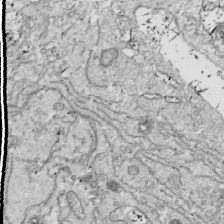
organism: Drosophila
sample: Cell division; meiosis; drosophila spermatocytes